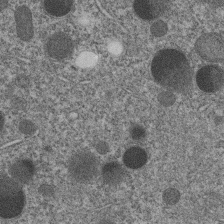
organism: C. elegans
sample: C. elegans embryo early stage